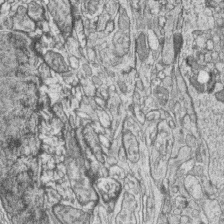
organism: Zebrafish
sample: synaptic ribbons in rod cells and cone cells